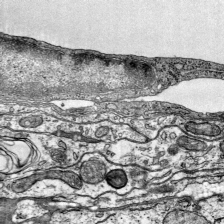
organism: Mouse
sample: Visual Cortex